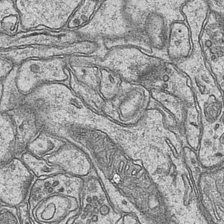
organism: Mouse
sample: CA1 Hippocampus